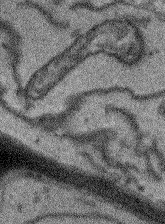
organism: Arabidopsis thaliana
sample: Root tip